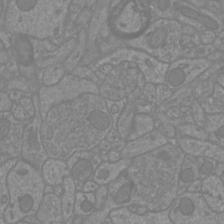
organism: Mouse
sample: Cortical neurons